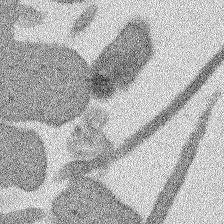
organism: Human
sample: HeLa cells